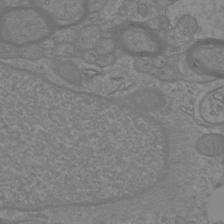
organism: Mouse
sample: Cortical neurons